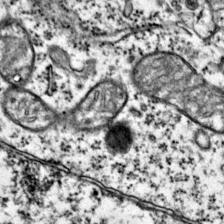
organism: Mouse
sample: Primary visual cortex